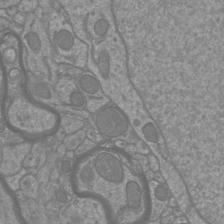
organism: Mouse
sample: Cortical neurons